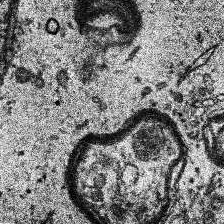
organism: Human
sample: Temporal Lobe